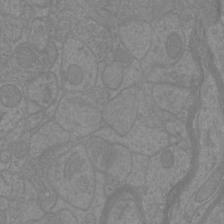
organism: Mouse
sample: Cortical neurons